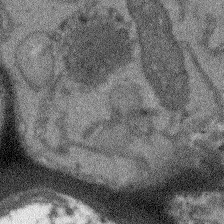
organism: Arabidopsis thaliana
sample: Root tip